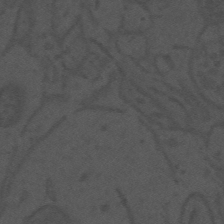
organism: Mouse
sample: Suprachiasmatic nucleus